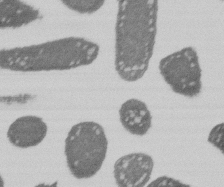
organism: E. coli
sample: Bacterial nucleoid